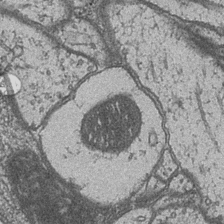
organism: Drosophila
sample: Optic medulla